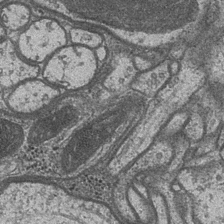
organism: Drosophila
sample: Optic medulla